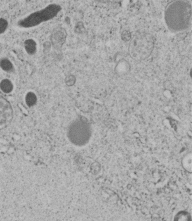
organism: C. elegans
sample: C. elegans embryo early stage